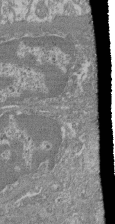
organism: Mouse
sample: Glomerulus